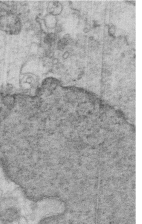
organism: Mouse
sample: Multiciliated cells